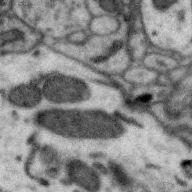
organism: Zebra finch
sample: Brain